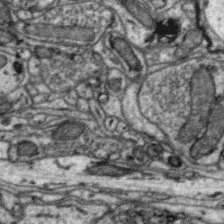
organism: Zebra finch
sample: Brain